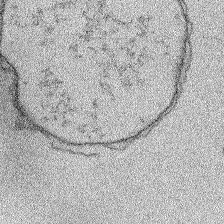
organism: Human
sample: HeLa cells